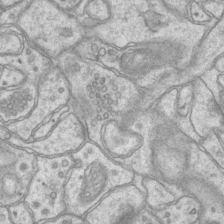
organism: Mouse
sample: CA1 Hippocampus